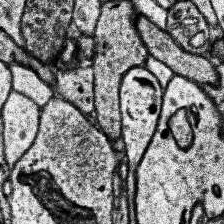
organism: Human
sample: Temporal Lobe